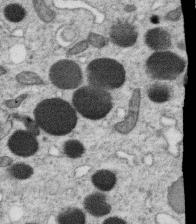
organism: C. elegans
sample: C. elegans oocyte; sperm cells